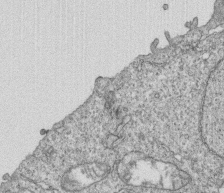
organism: Human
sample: HeLa cell HIV synapse